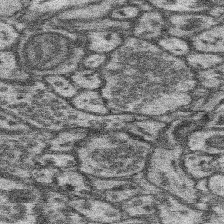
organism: Mouse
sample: Somatosensory cortex neuropil